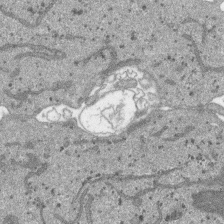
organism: Human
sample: Lung epithelial cells infected with SARS-CoV-2